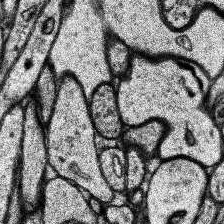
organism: Human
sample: Temporal Lobe